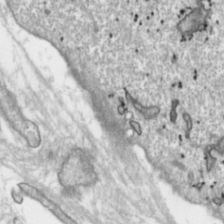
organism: Toxoplasma gondii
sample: Parasites in a vacuole inside a host cell